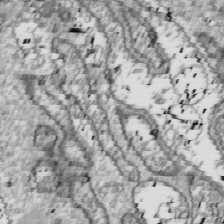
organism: Drosophila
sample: Cell division; meiosis; drosophila spermatocytes